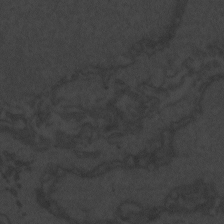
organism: Zebrafish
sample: Macrophage infected with Toxoplasma gondii